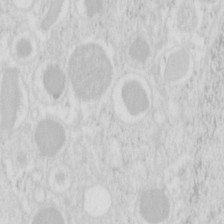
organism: Mouse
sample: Pancreas